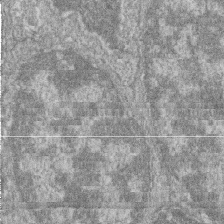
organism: Zebrafish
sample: Cilia; retinal pigment epithelium